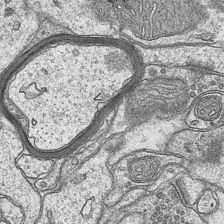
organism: Mouse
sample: CA1 Hippocampus